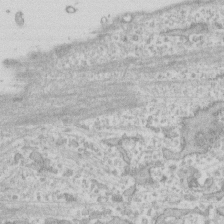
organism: Human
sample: Fibroblast cells